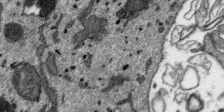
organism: Human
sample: Lung epithelial cells, uninfected (mock) control